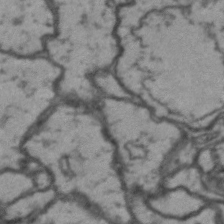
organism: Drosophila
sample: Brain